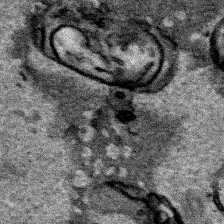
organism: Human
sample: Mitochondria in HCT116 cells